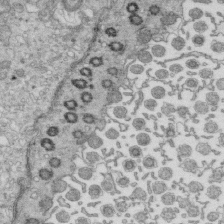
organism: Mouse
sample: Multiciliated cells